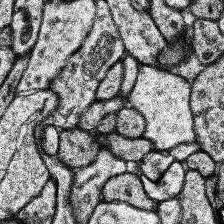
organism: Human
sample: Temporal Lobe